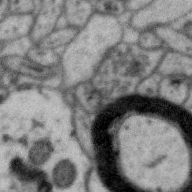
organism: Zebra finch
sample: Brain